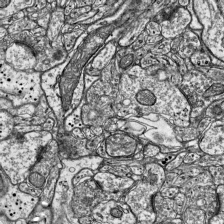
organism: Mouse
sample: Visual Cortex